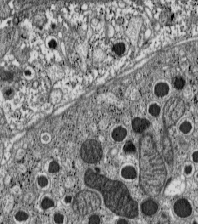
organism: C57BL Mouse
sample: Pancreatic islet